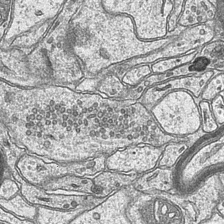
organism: Mouse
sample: CA1 Hippocampus